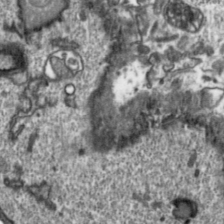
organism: Toxoplasma gondii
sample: Parasites in a vacuole inside a host cell